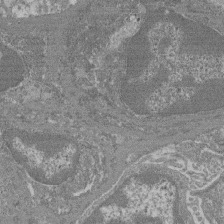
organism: Mouse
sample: Glomerulus